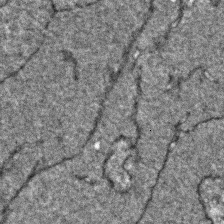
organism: Zebrafish